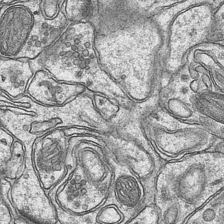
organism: Mouse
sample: CA1 Hippocampus